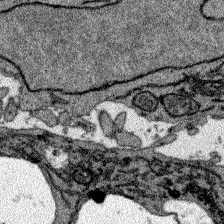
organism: Zebrafish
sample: Larval olfactory bulb